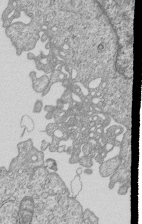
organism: Human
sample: MDA-MB-231 cells